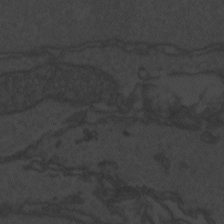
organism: Zebrafish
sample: Macrophage infected with Toxoplasma gondii